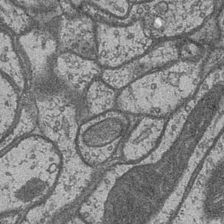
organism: Drosophila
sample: Optic medulla